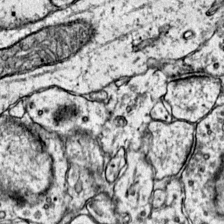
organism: Mouse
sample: Primary visual cortex